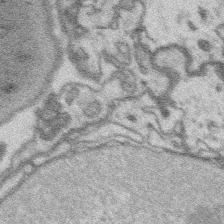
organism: Platynereis dumerilii